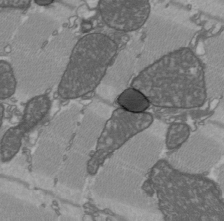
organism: C57BL Mouse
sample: Heart